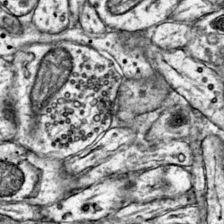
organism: Mouse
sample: Primary visual cortex